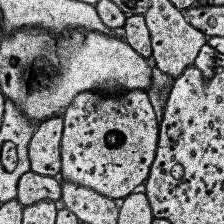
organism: Human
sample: Temporal Lobe